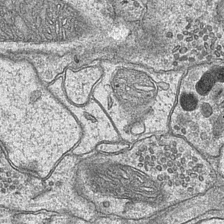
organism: Mouse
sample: CA1 Hippocampus